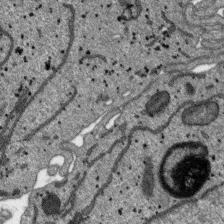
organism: Human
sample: Lung epithelial cells, uninfected (mock) control